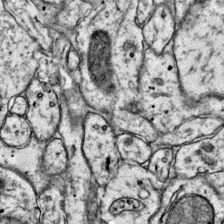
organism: Mouse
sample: Primary visual cortex